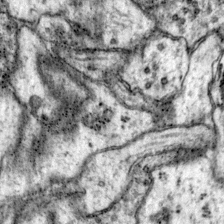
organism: Mouse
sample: Primary visual cortex